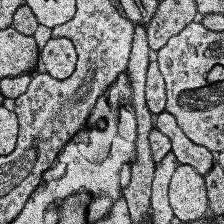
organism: Human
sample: Temporal Lobe